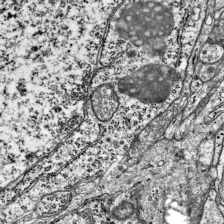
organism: Mouse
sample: Visual Cortex